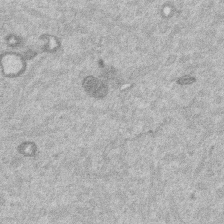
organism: Mouse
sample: Dividing mouse embryo 1 cell stage